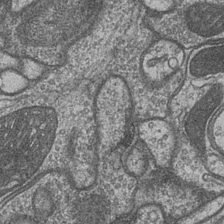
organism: Drosophila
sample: Optic medulla